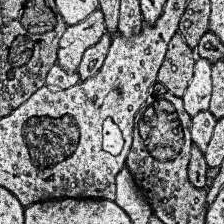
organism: Human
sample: Temporal Lobe